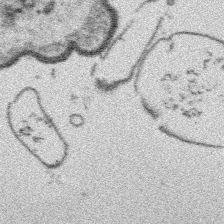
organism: Platynereis dumerilii